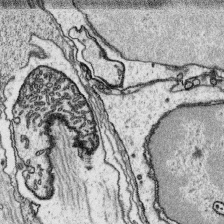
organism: Platynereis dumerilii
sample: Parapodia